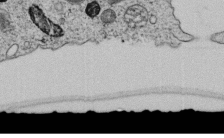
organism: C. elegans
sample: C. elegans embryo early stage